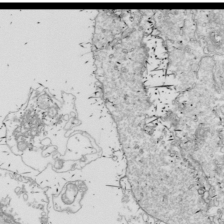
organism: Drosophila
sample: Cell division; meiosis; drosophila spermatocytes